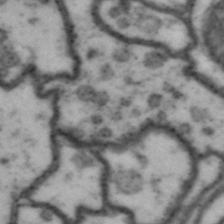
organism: Drosophila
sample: Brain